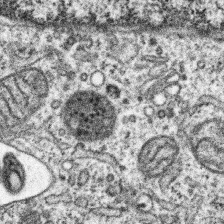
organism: Human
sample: HeLa cells